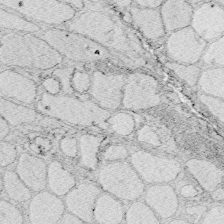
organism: Zebrafish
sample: Whole-Brain